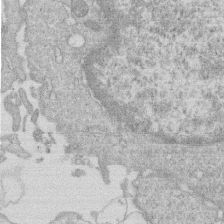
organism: Human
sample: Macrophage cells